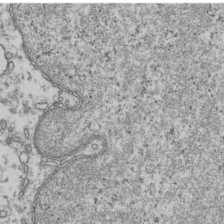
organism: Human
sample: Activated Jurkat CD4+ T cells